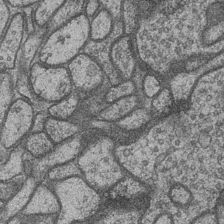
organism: Drosophila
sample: Optic medulla